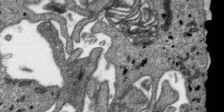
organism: Human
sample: Lung epithelial cells, uninfected (mock) control